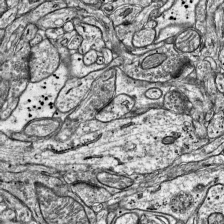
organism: Mouse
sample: Visual Cortex